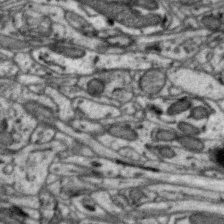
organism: Zebra finch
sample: Brain